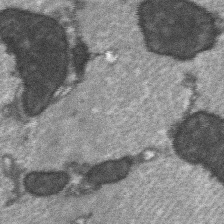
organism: C57BL Mouse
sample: Soleus